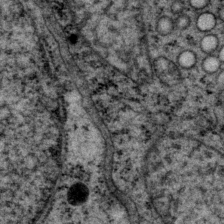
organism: P. pacificus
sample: Pharynx